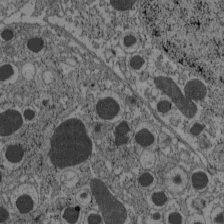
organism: C57BL Mouse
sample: Pancreatic islet